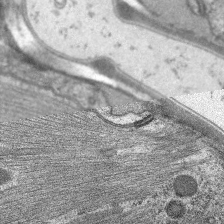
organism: C. elegans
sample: Pharynx